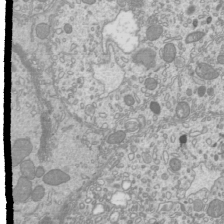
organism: Mouse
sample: Cilia; mouse epididymis